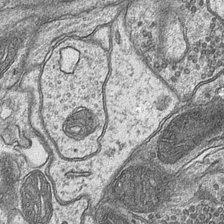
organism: Mouse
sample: CA1 Hippocampus